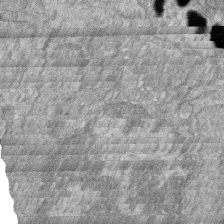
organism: Zebrafish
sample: Cilia; retinal pigment epithelium